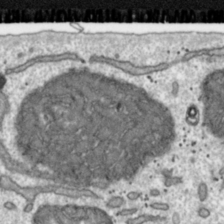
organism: Toxoplasma gondii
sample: Parasites in a vacuole inside a host cell